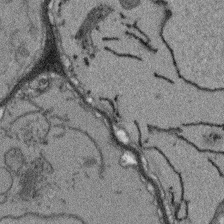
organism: Arabidopsis thaliana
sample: Root tip